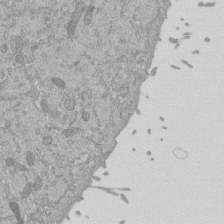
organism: Mouse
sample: ED-1 cell nuclei; centrioles